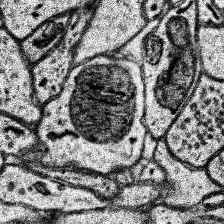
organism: Human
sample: Temporal Lobe